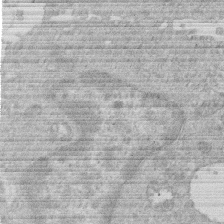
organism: Human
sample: Macrophage cells